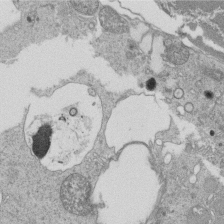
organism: Tetrahymena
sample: Cilia in tetrahymena